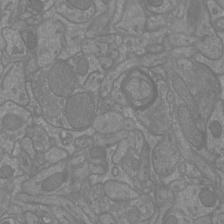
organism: Mouse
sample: Cortical neurons